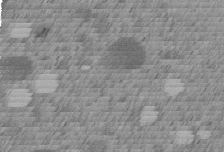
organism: C. elegans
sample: C. elegans embryo early stage